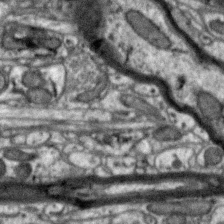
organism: Zebra finch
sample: Brain